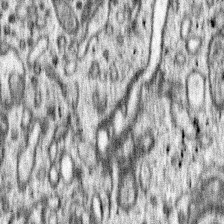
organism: Human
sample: HeLa cells